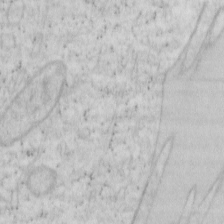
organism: Human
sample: HeLa cells